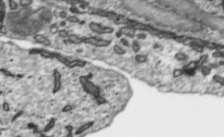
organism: Toxoplasma gondii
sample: Parasites in a vacuole inside a host cell